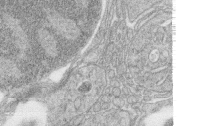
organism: Zebrafish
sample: synaptic ribbons in rod cells and cone cells